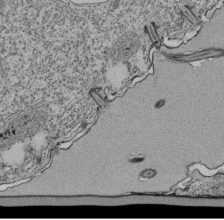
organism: Tetrahymena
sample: Cilia in tetrahymena